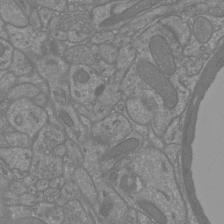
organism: Mouse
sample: Cortical neurons